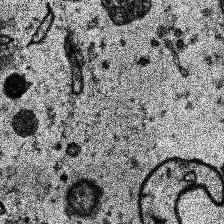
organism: Human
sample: Temporal Lobe